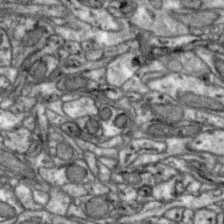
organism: Zebra finch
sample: Brain